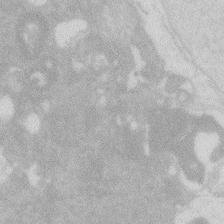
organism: Zebrafish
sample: Macrophage